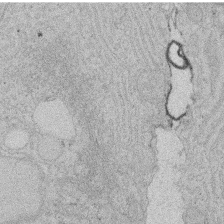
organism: Rat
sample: Salivary granule